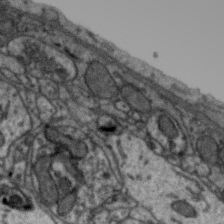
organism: Zebra finch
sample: Brain